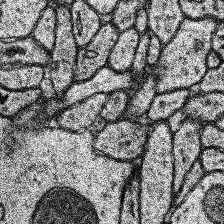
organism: Human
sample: Temporal Lobe